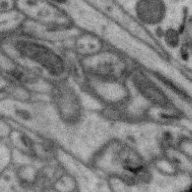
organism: Zebra finch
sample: Brain